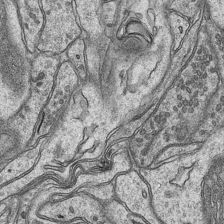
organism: Mouse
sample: CA1 Hippocampus